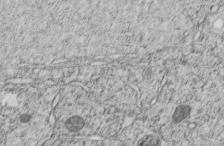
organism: C. elegans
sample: C. elegans embryo early stage